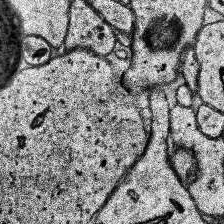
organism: Human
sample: Temporal Lobe